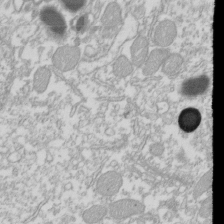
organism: Xenopus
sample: Cilia; centrioles in frog embryo cells